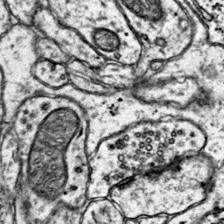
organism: Mouse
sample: Primary visual cortex